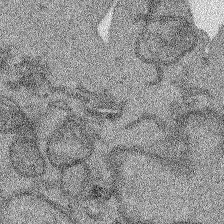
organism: Human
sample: HeLa cells